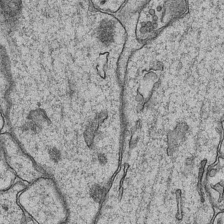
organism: Mouse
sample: CA1 Hippocampus